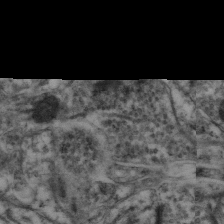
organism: Mouse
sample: Neocortex